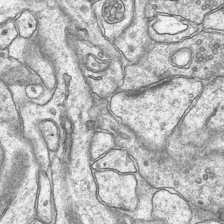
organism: Mouse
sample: CA1 Hippocampus